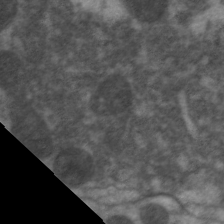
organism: C. elegans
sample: Pharynx